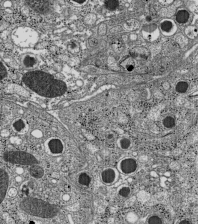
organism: C57BL Mouse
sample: Pancreatic islet